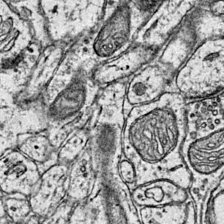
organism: Mouse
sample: Primary visual cortex